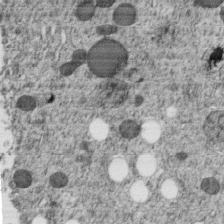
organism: C. elegans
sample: C. elegans embryo early stage